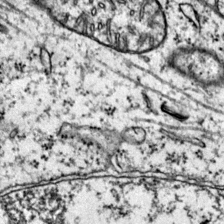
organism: Mouse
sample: Primary visual cortex